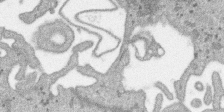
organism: Human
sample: Lung epithelial cells infected with SARS-CoV-2